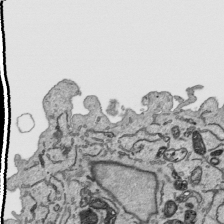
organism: Human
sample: Mitochondria in HCT116 cells